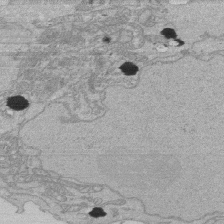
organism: Human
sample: Activated Jurkat CD4+ T cells